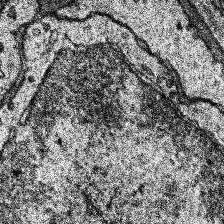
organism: Human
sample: Temporal Lobe